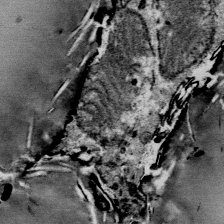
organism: Mouse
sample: Mouse Salivary gland